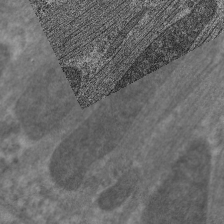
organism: C. elegans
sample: Pharynx